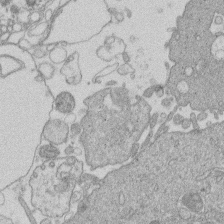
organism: Human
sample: Macrophage cells